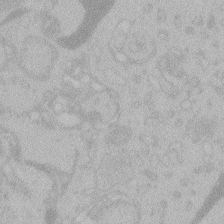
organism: Zebrafish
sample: Macrophage infected with Toxoplasma gondii